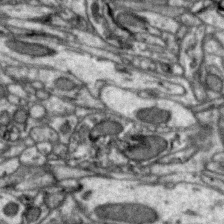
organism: Zebra finch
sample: Brain